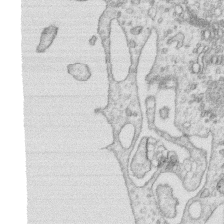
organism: Human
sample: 1205lu cells